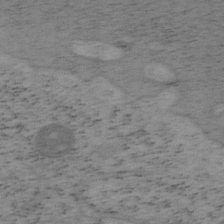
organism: Mouse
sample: OT-I killer T cells with ID8 ovarian cancer cells